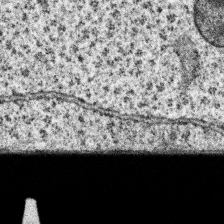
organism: Human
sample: HeLa cells